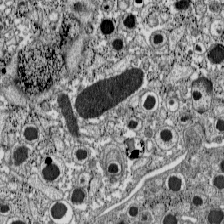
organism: C57BL Mouse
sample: Pancreatic islet